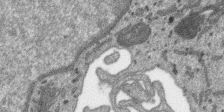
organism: Human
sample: Lung epithelial cells infected with SARS-CoV-2